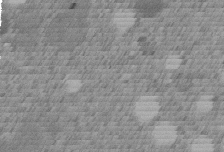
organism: C. elegans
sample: C. elegans embryo early stage